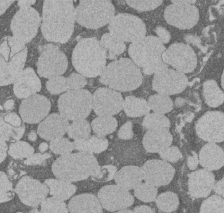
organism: Rat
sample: Salivary granule